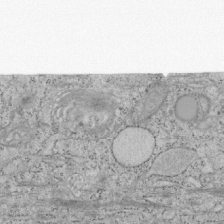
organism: Human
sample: HeLa cells